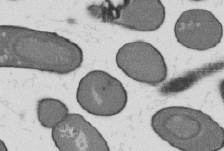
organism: B. subtilis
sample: Bacterial spore